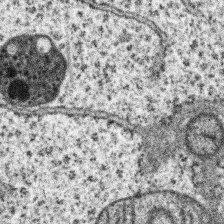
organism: Human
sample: HeLa cells